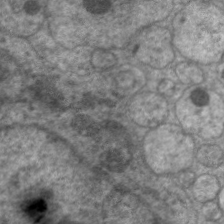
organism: C. elegans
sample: Pharynx